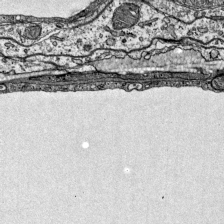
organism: Mouse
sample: Visual Cortex